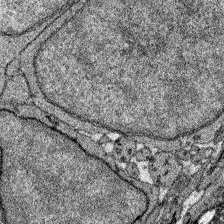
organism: Zebrafish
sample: Larval olfactory bulb